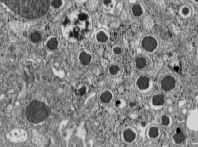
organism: C57BL Mouse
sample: Pancreatic islet